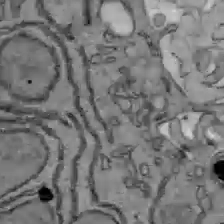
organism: C57BL Mouse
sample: Liver